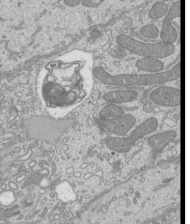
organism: Mouse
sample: Cilia; mouse epididymis